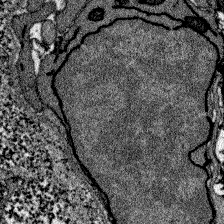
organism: Zebrafish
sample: Larval olfactory bulb